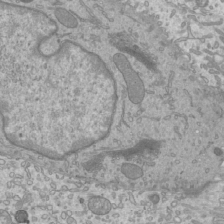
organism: Mouse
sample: Cilia; mouse epididymis